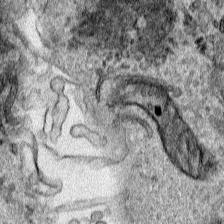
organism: Human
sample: Mitochondria in HCT116 cells